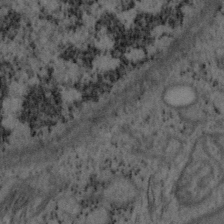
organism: Human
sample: HeLa cells